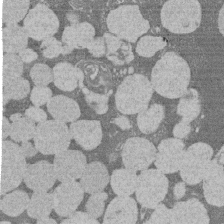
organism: Rat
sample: Salivary granule